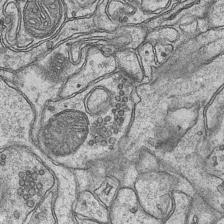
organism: Mouse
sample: CA1 Hippocampus